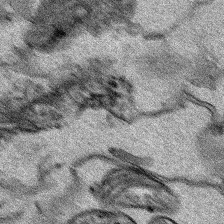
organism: Human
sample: Mitochondria in HCT116 cells